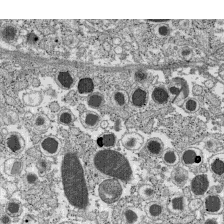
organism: C57BL Mouse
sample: Pancreatic islet